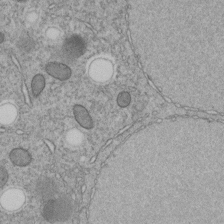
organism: C. elegans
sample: C. elegans embryo early stage